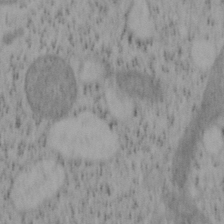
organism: Mouse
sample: OT-I killer T cells with ID8 ovarian cancer cells